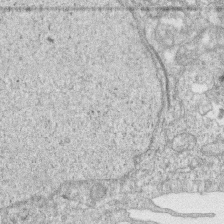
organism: Human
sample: HeLa cell HIV synapse